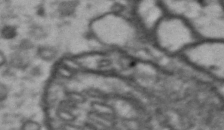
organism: Drosophila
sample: Brain